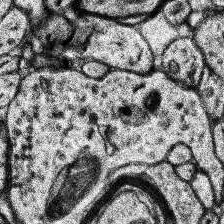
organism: Human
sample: Temporal Lobe